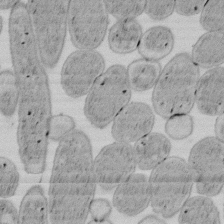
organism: E. coli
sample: Bacterial nucleoid